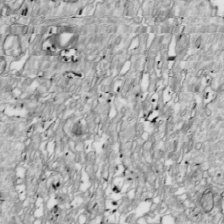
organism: Drosophila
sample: Cell division; meiosis; drosophila spermatocytes